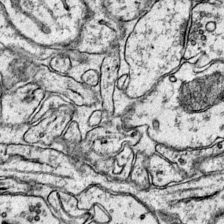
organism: Mouse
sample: Primary visual cortex